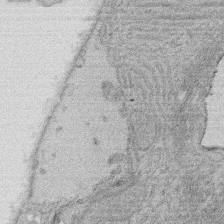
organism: Rat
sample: Salivary granule